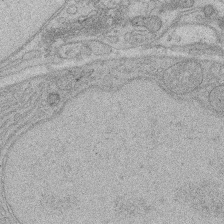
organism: Rat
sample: Salivary granule